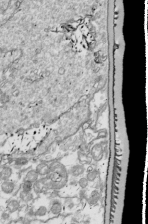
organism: Drosophila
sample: Cell division; meiosis; drosophila spermatocytes